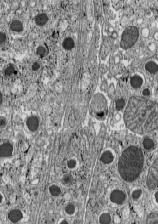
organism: C57BL Mouse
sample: Pancreatic islet